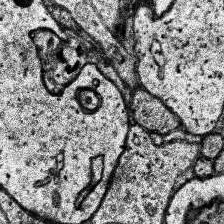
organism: Human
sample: Temporal Lobe